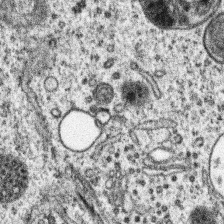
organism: Human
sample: HeLa cells